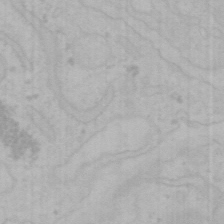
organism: Mouse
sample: Choroid plexus